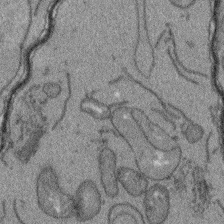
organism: Arabidopsis thaliana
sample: Root tip